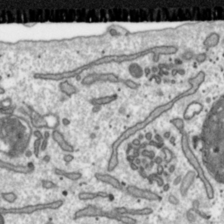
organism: Toxoplasma gondii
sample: Parasites in a vacuole inside a host cell